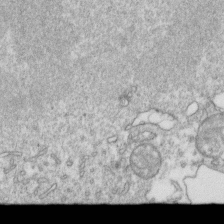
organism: Mouse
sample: Activated OT-1 CD8+ T cells